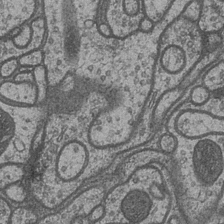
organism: Drosophila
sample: Optic medulla